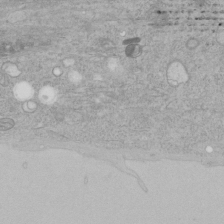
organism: Human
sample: Mitochondria in HCT116 cells